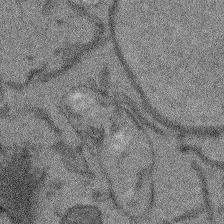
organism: Arabidopsis thaliana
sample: Root tip